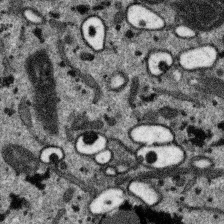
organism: Human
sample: Lung epithelial cells infected with SARS-CoV-2